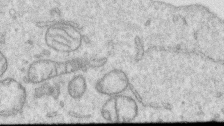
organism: Human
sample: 1205lu cells